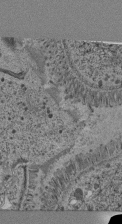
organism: C. elegans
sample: C. elegans pharynx